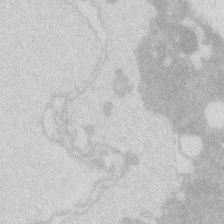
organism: Zebrafish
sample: Macrophage